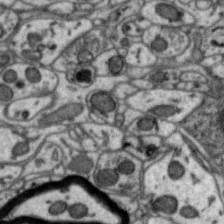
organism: Zebra finch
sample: Brain